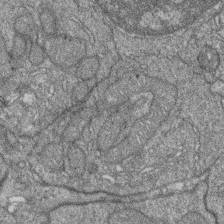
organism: Zebrafish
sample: Cilia; retinal pigment epithelium